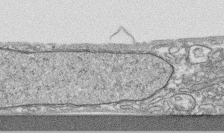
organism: Human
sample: CRL-1474